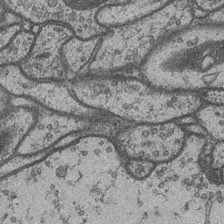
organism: Drosophila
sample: Optic medulla